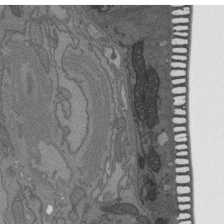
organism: C. elegans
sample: AFD neurons C. elegans